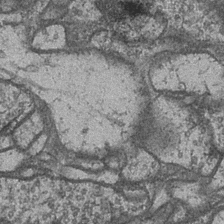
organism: Drosophila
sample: Optic medulla